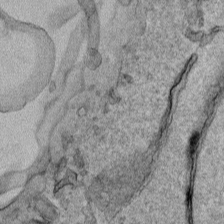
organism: Human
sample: Mitochondria in HCT116 cells